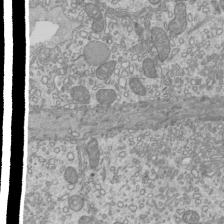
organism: Mouse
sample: Cilia; mouse epididymis